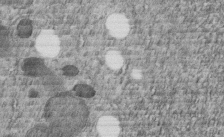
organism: C. elegans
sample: C. elegans embryo early stage